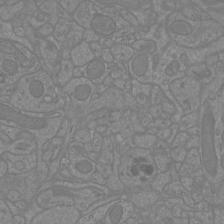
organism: Mouse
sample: Cortical neurons